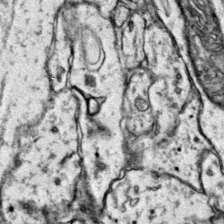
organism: Mouse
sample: Primary visual cortex